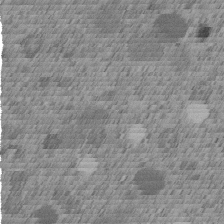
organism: C. elegans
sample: C. elegans embryo early stage